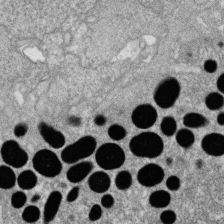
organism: Zebrafish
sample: Cilia; retinal pigment epithelium